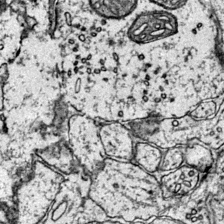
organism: Mouse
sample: Primary visual cortex